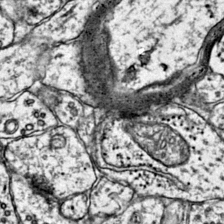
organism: Mouse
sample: Primary visual cortex